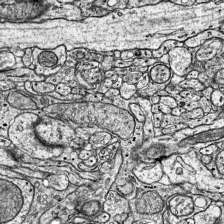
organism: Mouse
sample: Visual Cortex